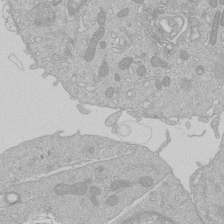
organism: Human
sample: Macrophage cells